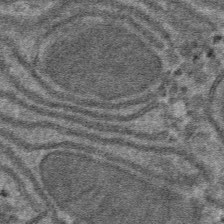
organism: Mouse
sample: Mouse hepatocytes